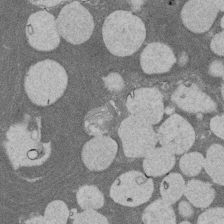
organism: Rat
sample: Salivary granule